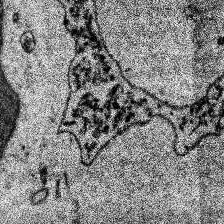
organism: Human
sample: Temporal Lobe